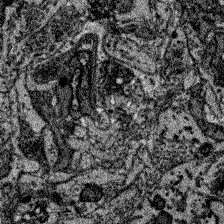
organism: Zebrafish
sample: Larval olfactory bulb